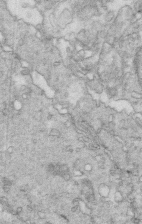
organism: Mouse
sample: Multiciliated cells